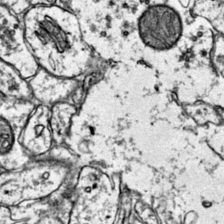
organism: Mouse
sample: Primary visual cortex